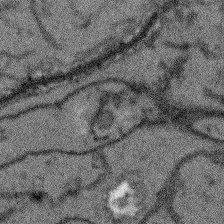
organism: Arabidopsis thaliana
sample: Root tip